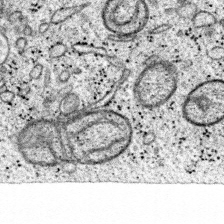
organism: Human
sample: HeLa cells